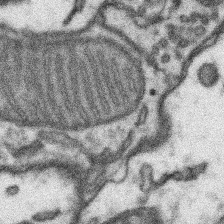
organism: Mouse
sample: Somatosensory cortex neuropil